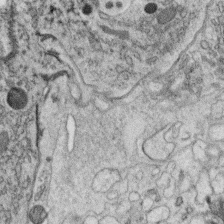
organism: C. elegans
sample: C. elegans oocyte; sperm cells